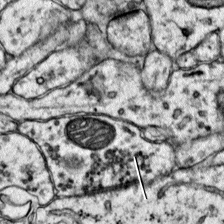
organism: Mouse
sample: Primary visual cortex